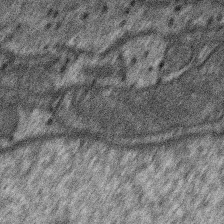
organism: Human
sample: Lung epithelial cells infected with SARS-CoV-2